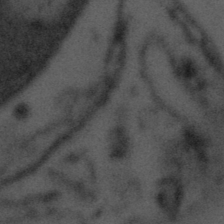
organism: Tuwongella immobilis